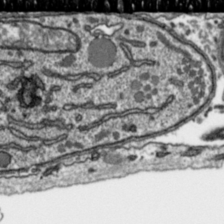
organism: Toxoplasma gondii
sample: Parasites in a vacuole inside a host cell